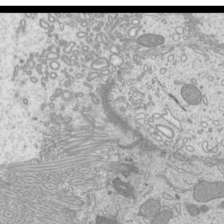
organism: Mouse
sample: Cilia; mouse epididymis